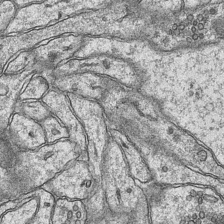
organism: Mouse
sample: CA1 Hippocampus